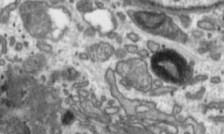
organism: Toxoplasma gondii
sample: Parasites in a vacuole inside a host cell